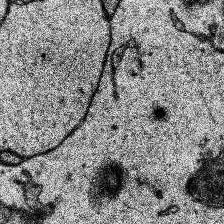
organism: Human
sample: Temporal Lobe